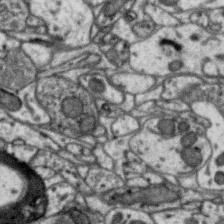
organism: Zebra finch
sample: Brain